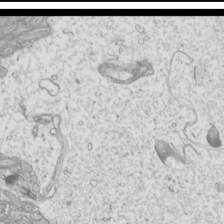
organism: Mouse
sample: Cilia; mouse epididymis